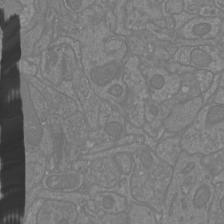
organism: Mouse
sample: Cortical neurons